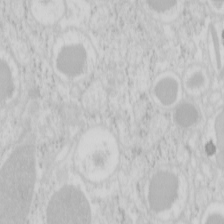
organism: Mouse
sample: Pancreas